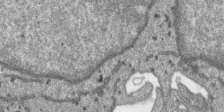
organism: Human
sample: Lung epithelial cells infected with SARS-CoV-2